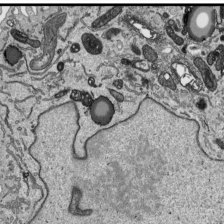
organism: Human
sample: Mitochondria in HCT116 cells